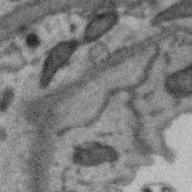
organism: Zebra finch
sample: Brain